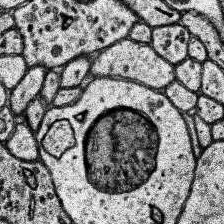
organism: Human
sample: Temporal Lobe